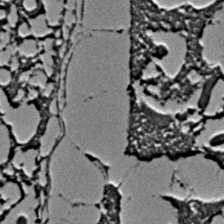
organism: C. elegans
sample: C. elegans embryo